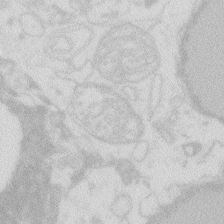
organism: Zebrafish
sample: Macrophage